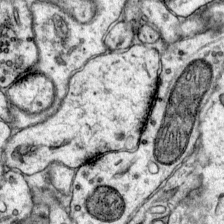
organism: Mouse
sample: Primary visual cortex